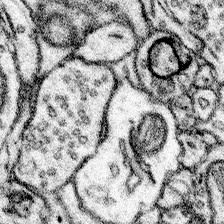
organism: Mouse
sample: Somatosensory cortex neuropil